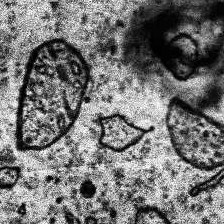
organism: Human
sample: Temporal Lobe